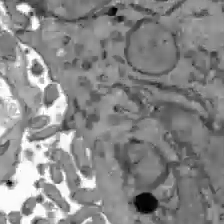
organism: C57BL Mouse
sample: Liver